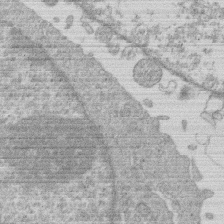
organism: Human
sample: Macrophage cells